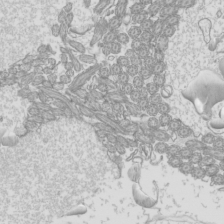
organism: Mouse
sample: Cilia; mouse epididymis